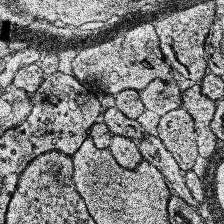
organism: Human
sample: Temporal Lobe